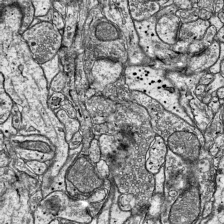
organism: Mouse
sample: Visual Cortex